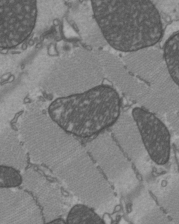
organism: C57BL Mouse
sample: Heart